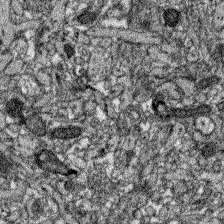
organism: Zebrafish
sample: Larval olfactory bulb